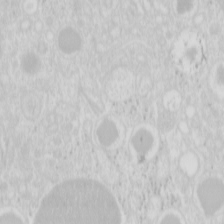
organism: Mouse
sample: Pancreas